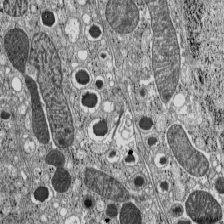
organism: C57BL Mouse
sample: Pancreatic islet